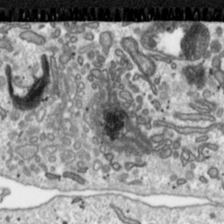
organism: Toxoplasma gondii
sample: Parasites in a vacuole inside a host cell